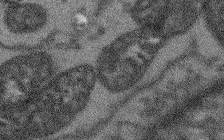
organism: Arabidopsis thaliana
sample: Root tip